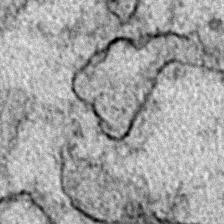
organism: Zebrafish